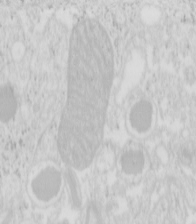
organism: Mouse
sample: Pancreas